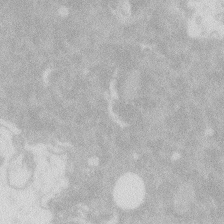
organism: Zebrafish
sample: Macrophage